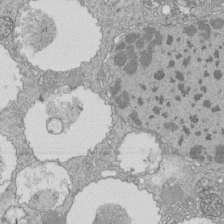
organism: Tetrahymena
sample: Cilia in tetrahymena